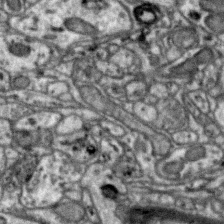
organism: Zebra finch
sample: Brain